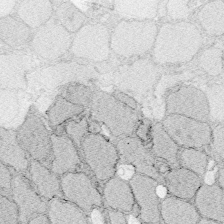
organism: Zebrafish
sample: Whole-Brain